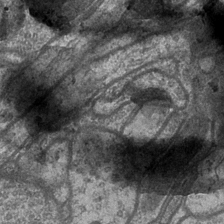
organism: Drosophila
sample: Optic medulla